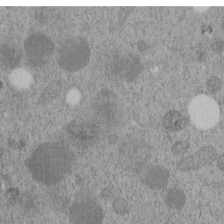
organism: C. elegans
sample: C. elegans embryo early stage